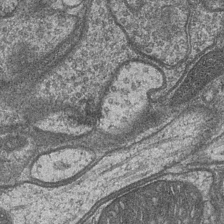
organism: Drosophila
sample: Optic medulla